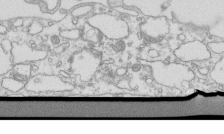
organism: Mouse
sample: Macrophages